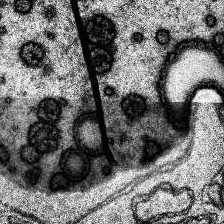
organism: Human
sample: Temporal Lobe